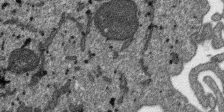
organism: Human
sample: Lung epithelial cells infected with SARS-CoV-2